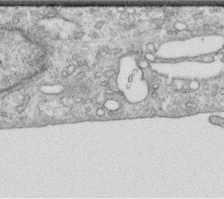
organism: Human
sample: Centriole in RPE cells